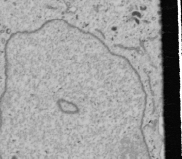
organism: Human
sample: Mitochondria in U2OS cells